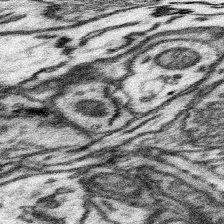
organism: Mouse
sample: Somatosensory cortex neuropil